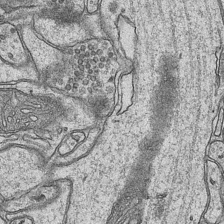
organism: Mouse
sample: CA1 Hippocampus